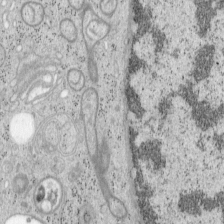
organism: Mouse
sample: OT-I killer T cells with ID8 ovarian cancer cells